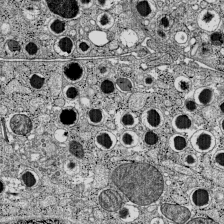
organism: C57BL Mouse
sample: Pancreatic islet